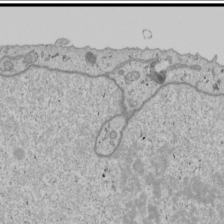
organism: Human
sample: Mitochondria in U2OS cells